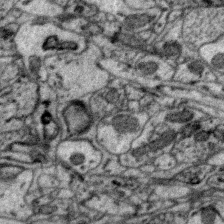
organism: Zebra finch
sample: Brain